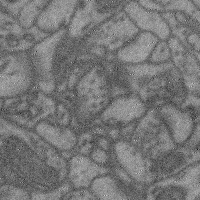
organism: Mouse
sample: Cerebral cortex